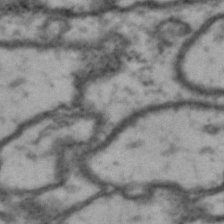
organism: Drosophila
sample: Brain